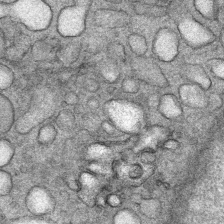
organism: Mouse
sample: Mouse Salivary gland